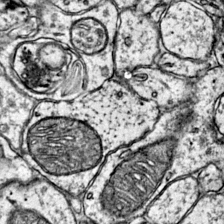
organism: Mouse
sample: Primary visual cortex